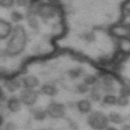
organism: Drosophila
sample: Brain